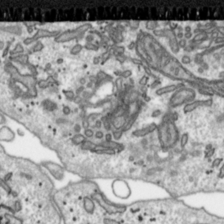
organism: Toxoplasma gondii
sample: Parasites in a vacuole inside a host cell